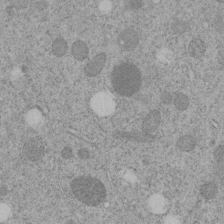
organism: C. elegans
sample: C. elegans embryo early stage